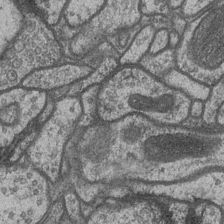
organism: Drosophila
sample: Optic medulla